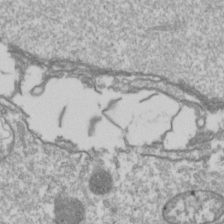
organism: Drosophila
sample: Cell division; meiosis; drosophila spermatocytes